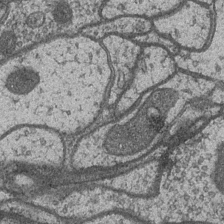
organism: Drosophila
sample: Optic medulla